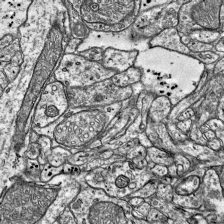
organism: Mouse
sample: Visual Cortex